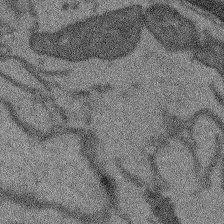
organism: Arabidopsis thaliana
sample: Root tip